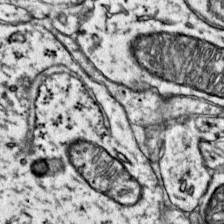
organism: Mouse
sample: Primary visual cortex